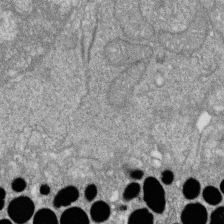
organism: Zebrafish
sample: Cilia; retinal pigment epithelium